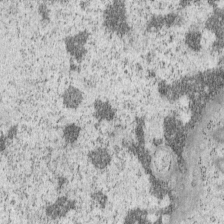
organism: Mouse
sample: OT-I killer T cells with ID8 ovarian cancer cells